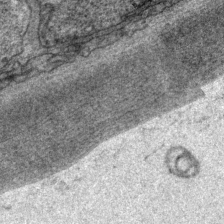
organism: P. pacificus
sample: Pharynx